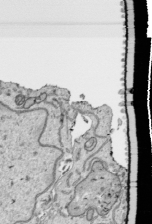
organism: Human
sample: Mitochondria in HCT116 cells